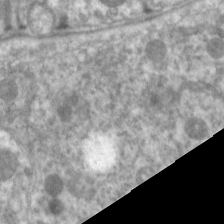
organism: C. elegans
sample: Pharynx